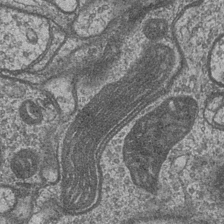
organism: Drosophila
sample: Optic medulla